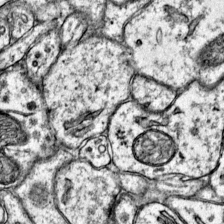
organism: Mouse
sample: Primary visual cortex